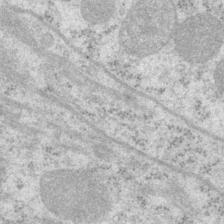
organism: P. pacificus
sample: Pharynx